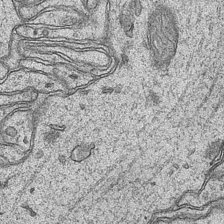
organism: Mouse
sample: CA1 Hippocampus